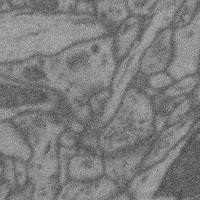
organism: Mouse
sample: Cerebral cortex